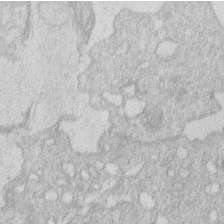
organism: Human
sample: Macrophage cells